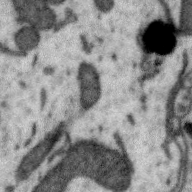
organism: Zebra finch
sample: Brain